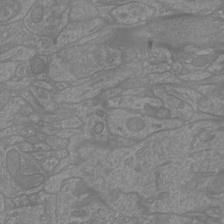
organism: Mouse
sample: Cortical neurons